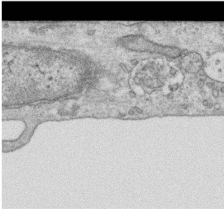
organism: Human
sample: Centriole in RPE cells